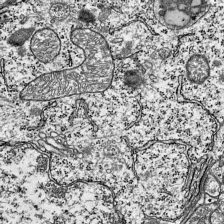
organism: Mouse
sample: Visual Cortex